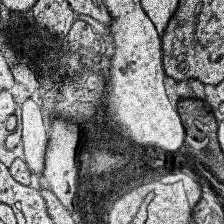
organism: Human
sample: Temporal Lobe